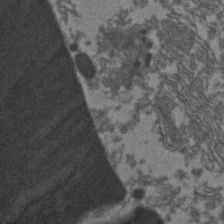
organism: Zebrafish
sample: Zebrafish embryo